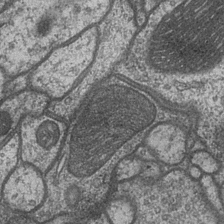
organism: Drosophila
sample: Optic medulla